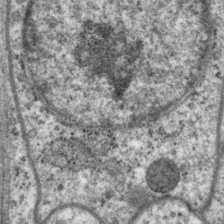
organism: P. pacificus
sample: Pharynx